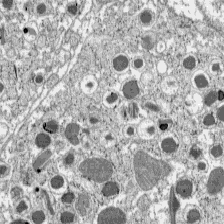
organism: C57BL Mouse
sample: Pancreatic islet